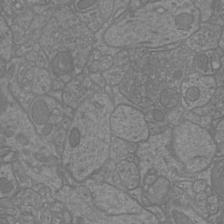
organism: Mouse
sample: Cortical neurons